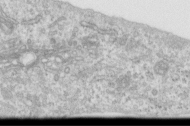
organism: Human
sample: Centriole in RPE cells